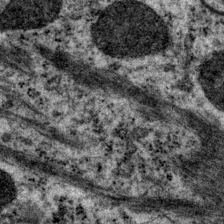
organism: P. pacificus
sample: Pharynx